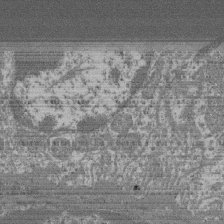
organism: Mouse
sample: Glomerulus